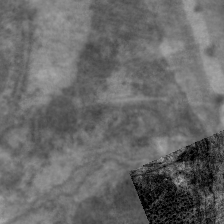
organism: C. elegans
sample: Pharynx